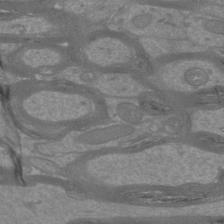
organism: Mouse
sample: Cortical neurons